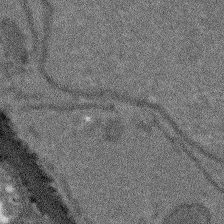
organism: Arabidopsis thaliana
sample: Root tip